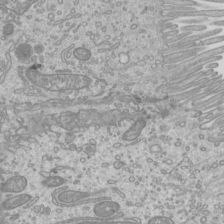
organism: Mouse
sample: Cilia; mouse epididymis